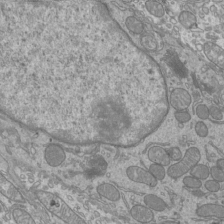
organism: Mouse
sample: Cilia; mouse epididymis